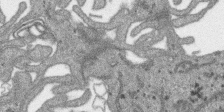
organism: Human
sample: Lung epithelial cells infected with SARS-CoV-2